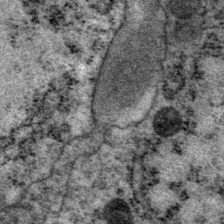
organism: P. pacificus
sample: Pharynx